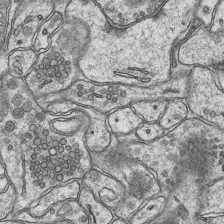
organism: Mouse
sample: CA1 Hippocampus